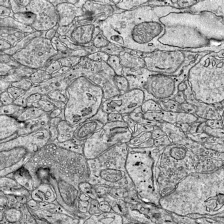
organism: Mouse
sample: Visual Cortex